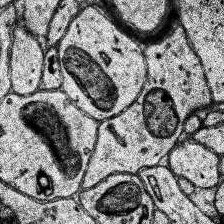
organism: Human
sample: Temporal Lobe